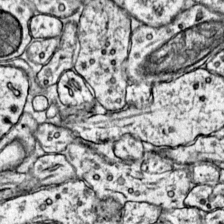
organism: Mouse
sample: Primary visual cortex